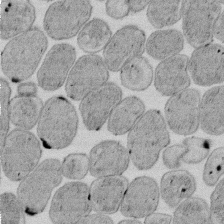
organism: E. coli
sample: Bacterial nucleoid